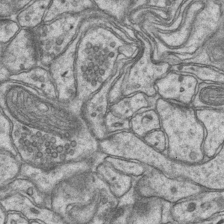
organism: Mouse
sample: CA1 Hippocampus